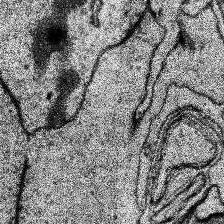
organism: Human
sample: Temporal Lobe